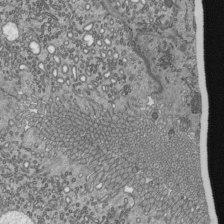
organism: Mouse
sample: Mouse epididymis efferent ductule cilia